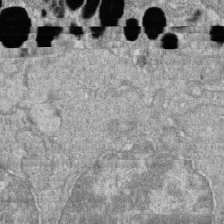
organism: Zebrafish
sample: Cilia; retinal pigment epithelium